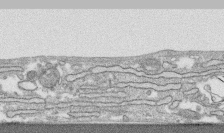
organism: Human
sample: CRL-1474